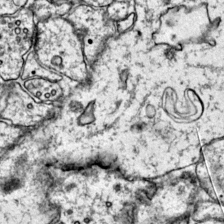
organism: Mouse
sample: Primary visual cortex